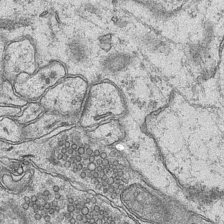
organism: Mouse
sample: CA1 Hippocampus